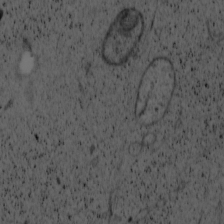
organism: African green monkey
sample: COS-7 cells